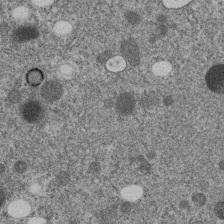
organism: C. elegans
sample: C. elegans embryo early stage